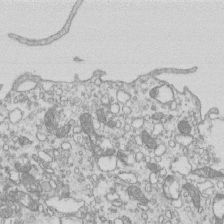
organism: Mouse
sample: Macrophages